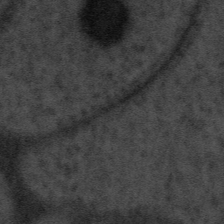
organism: Tuwongella immobilis